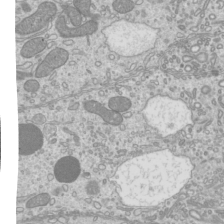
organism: Mouse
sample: Cilia; mouse epididymis